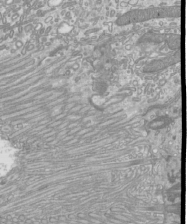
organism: Mouse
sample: Cilia; mouse epididymis